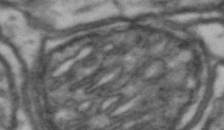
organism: Drosophila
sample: Brain